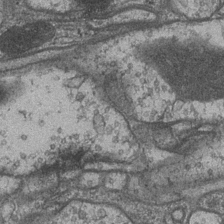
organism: Drosophila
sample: Optic medulla